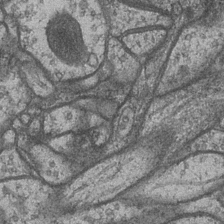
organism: Drosophila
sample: Optic medulla